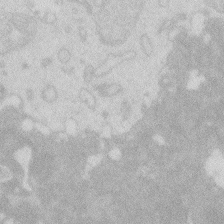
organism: Zebrafish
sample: Macrophage